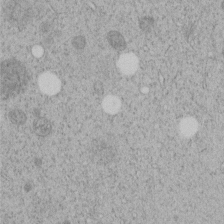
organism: C. elegans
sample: C. elegans embryo early stage